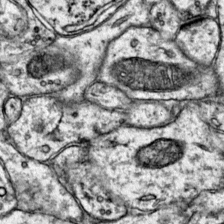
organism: Mouse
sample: Primary visual cortex